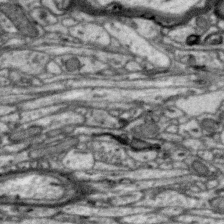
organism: Zebra finch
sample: Brain